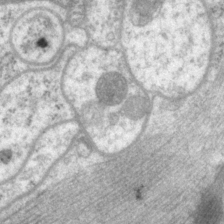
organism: P. pacificus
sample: Pharynx